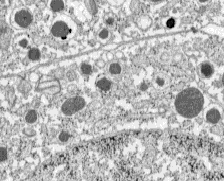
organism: C57BL Mouse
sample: Pancreatic islet